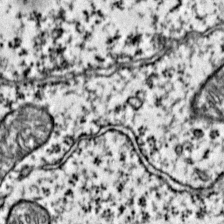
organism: Mouse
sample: Primary visual cortex